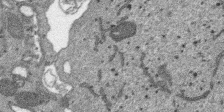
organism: Human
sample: Lung epithelial cells infected with SARS-CoV-2